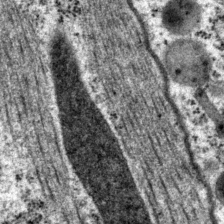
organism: P. pacificus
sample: Pharynx